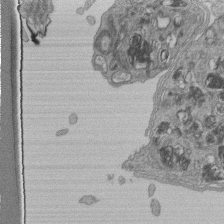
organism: Human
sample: Retinal organoid Rod and Cone cells